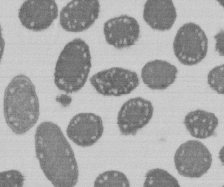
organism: E. coli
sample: Bacterial nucleoid